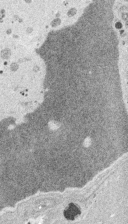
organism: Embia sp.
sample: Silk gland